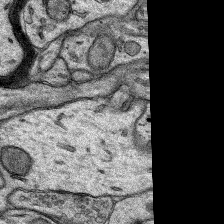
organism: Rat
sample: Hippocampus